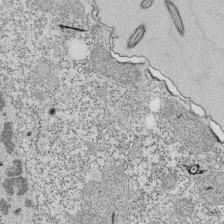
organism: Tetrahymena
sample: Cilia in tetrahymena